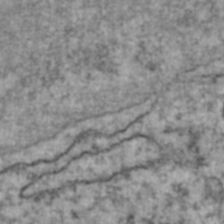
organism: Human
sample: Blood